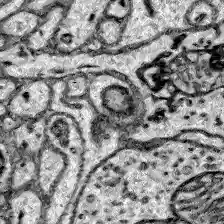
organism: Zebrafish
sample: Brain